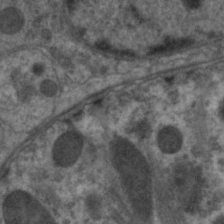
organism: C. elegans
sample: Pharynx